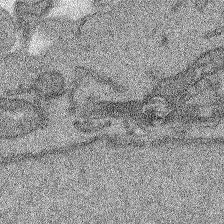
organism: Human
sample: HeLa cells